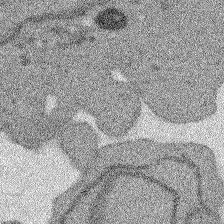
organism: Human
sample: HeLa cells